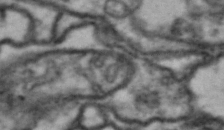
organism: Drosophila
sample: Brain